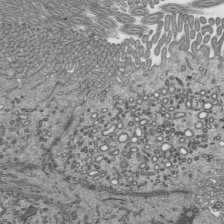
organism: Mouse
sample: Mouse epididymis efferent ductule cilia